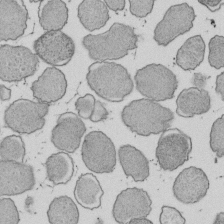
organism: E. coli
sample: Bacterial nucleoid